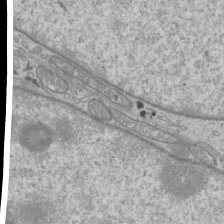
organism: Mouse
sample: Cilia; mouse epididymis